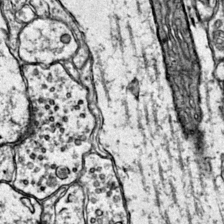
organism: Mouse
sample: Primary visual cortex